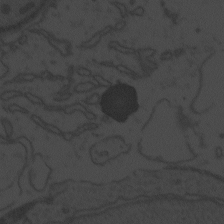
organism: Zebrafish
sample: Macrophage infected with Toxoplasma gondii